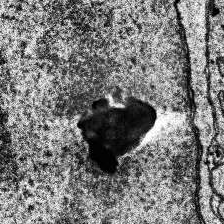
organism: Human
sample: Temporal Lobe